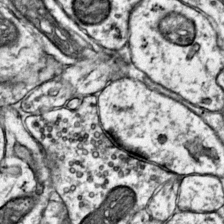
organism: Mouse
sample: Primary visual cortex